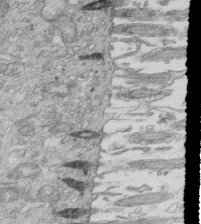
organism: Mouse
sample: Multiciliated cells